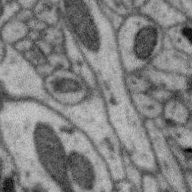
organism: Zebra finch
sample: Brain